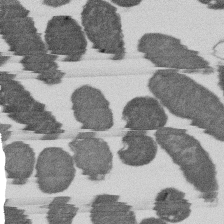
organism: E. coli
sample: Bacterial nucleoid